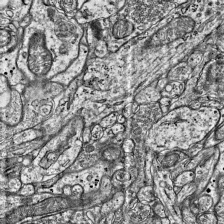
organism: Mouse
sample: Visual Cortex